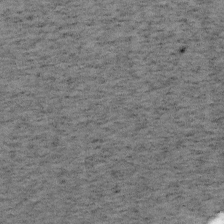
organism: Mouse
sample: OT-I killer T cells with ID8 ovarian cancer cells